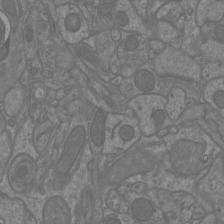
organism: Mouse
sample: Cortical neurons